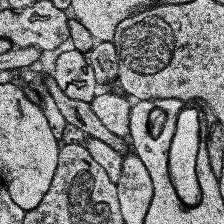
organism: Human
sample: Temporal Lobe